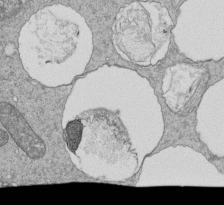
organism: Tetrahymena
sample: Cilia in tetrahymena